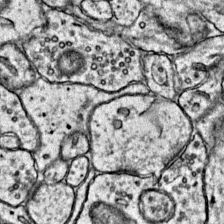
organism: Mouse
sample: Primary visual cortex